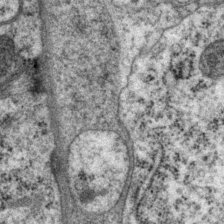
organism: P. pacificus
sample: Pharynx